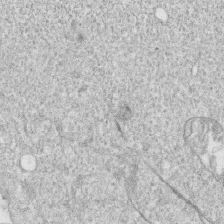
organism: Human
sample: HeLa cell HIV synapse